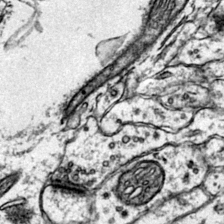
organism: Mouse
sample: Primary visual cortex